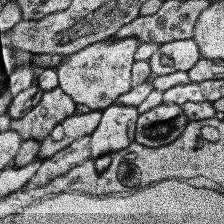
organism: Human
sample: Temporal Lobe